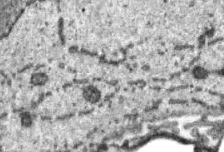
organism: Human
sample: HeLa cells